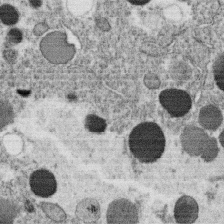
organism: C. elegans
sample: C. elegans oocyte; sperm cells